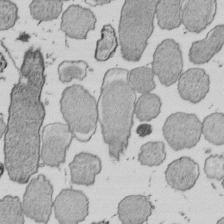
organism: E. coli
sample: Bacterial nucleoid